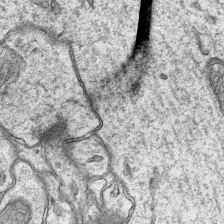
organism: Mouse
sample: CA1 Hippocampus